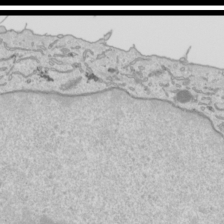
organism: Human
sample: Mitochondria in HCT116 cells